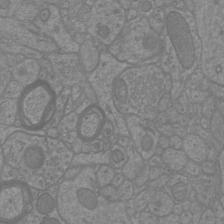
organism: Mouse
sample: Cortical neurons